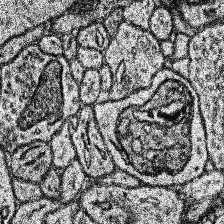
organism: Human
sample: Temporal Lobe